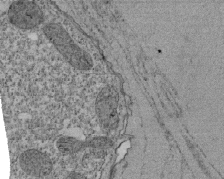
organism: Tetrahymena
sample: Cilia in tetrahymena